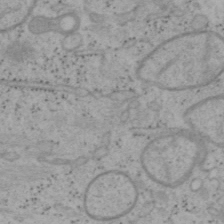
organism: Human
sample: HeLa cells